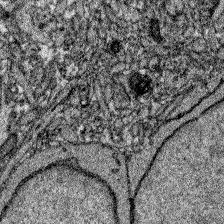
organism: Zebrafish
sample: Larval olfactory bulb